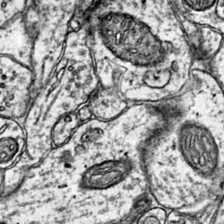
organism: Mouse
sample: Primary visual cortex